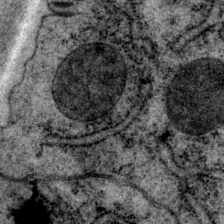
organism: P. pacificus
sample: Pharynx